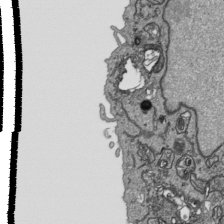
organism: Human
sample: Mitochondria in HCT116 cells